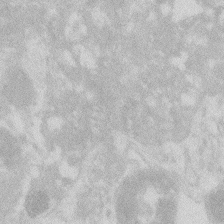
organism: Zebrafish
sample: Macrophage